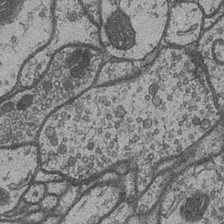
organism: Drosophila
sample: Optic medulla